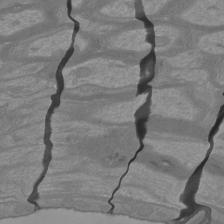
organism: Mouse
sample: Cortical neurons